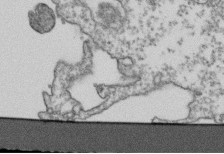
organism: Human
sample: Activated Jurkat CD4+ T cells